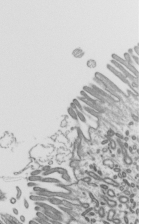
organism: Mouse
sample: Mouse epididymis efferent ductule cilia